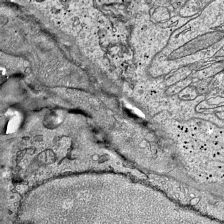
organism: Mouse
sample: Visual Cortex